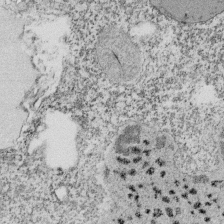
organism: Tetrahymena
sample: Cilia in tetrahymena